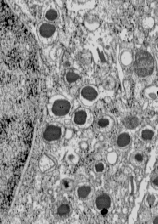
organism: C57BL Mouse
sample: Pancreatic islet